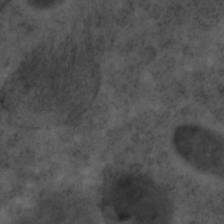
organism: C. elegans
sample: C. elegans embryo